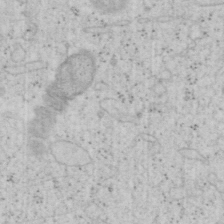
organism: Human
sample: HeLa cells